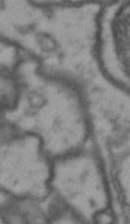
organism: Drosophila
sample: Brain